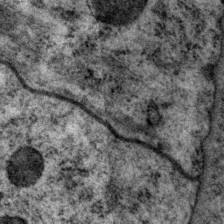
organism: P. pacificus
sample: Pharynx